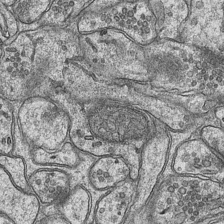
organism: Mouse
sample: CA1 Hippocampus